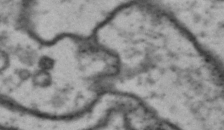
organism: Drosophila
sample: Brain